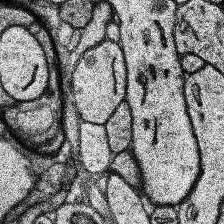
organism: Human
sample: Temporal Lobe